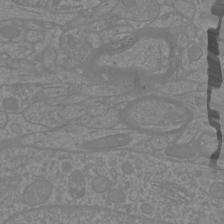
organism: Mouse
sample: Cortical neurons